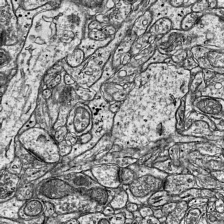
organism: Mouse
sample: Visual Cortex